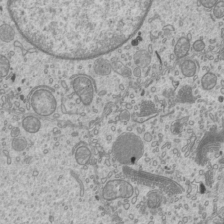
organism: Mouse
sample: Cilia; mouse epididymis